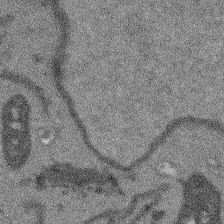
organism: Arabidopsis thaliana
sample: Root tip